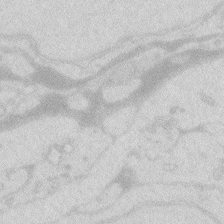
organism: Zebrafish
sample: Macrophage